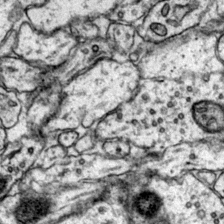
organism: Mouse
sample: Primary visual cortex